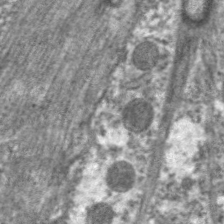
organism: C. elegans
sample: Pharynx